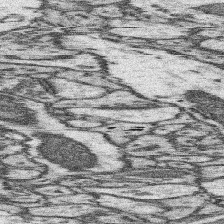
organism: Mouse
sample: Somatosensory cortex neuropil